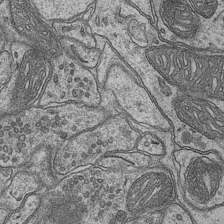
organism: Mouse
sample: CA1 Hippocampus